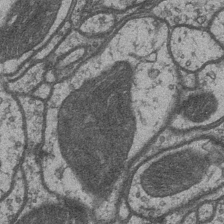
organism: Drosophila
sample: Optic medulla